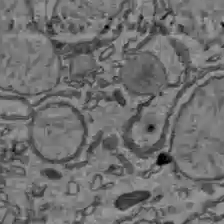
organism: C57BL Mouse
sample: Liver